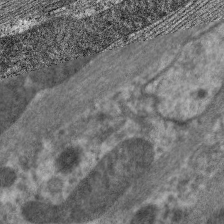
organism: C. elegans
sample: Pharynx